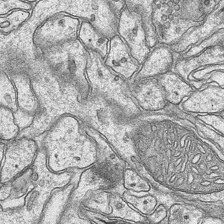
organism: Mouse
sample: CA1 Hippocampus